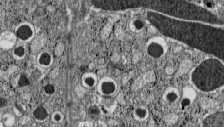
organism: C57BL Mouse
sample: Pancreatic islet